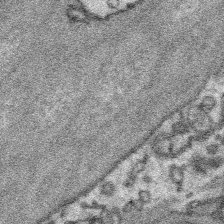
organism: Platynereis dumerilii